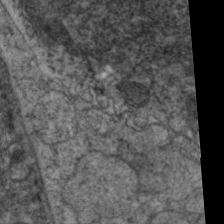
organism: C. elegans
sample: Pharynx